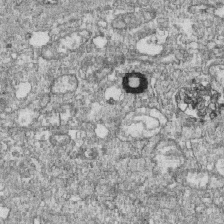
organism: Human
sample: HeLa cell HIV synapse